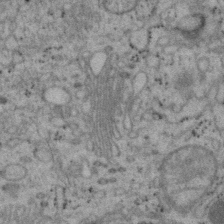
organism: Human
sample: HeLa cells